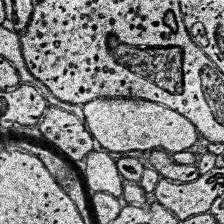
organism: Human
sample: Temporal Lobe